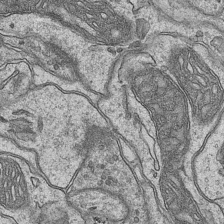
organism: Mouse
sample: CA1 Hippocampus